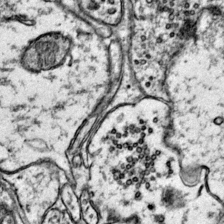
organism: Mouse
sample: Primary visual cortex